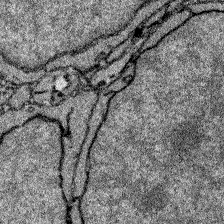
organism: Zebrafish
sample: Larval olfactory bulb